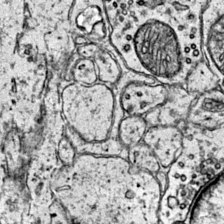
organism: Mouse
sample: Primary visual cortex